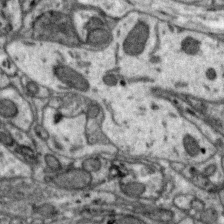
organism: Zebra finch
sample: Brain